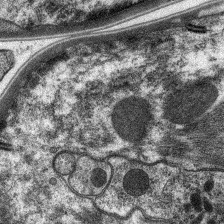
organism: C. elegans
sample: Pharynx